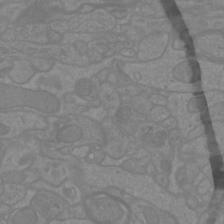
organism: Mouse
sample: Cortical neurons